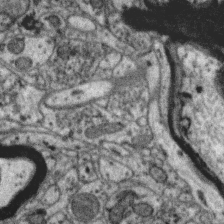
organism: Zebra finch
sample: Brain